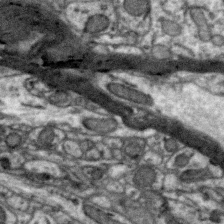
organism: Zebra finch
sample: Brain